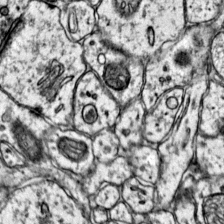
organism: Mouse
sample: Primary visual cortex